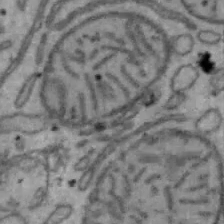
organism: Mouse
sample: Liver